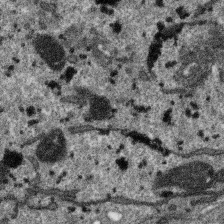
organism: Human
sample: Lung epithelial cells infected with SARS-CoV-2